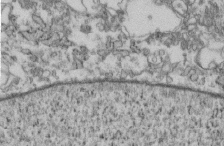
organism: Mouse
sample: Cilia; retinal pigment epithelium